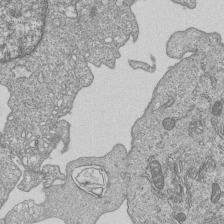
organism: Human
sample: MDA-MB-231 cells